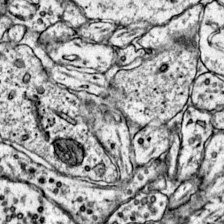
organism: Mouse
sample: Primary visual cortex